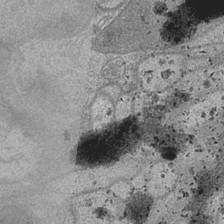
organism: Drosophila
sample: Optic medulla